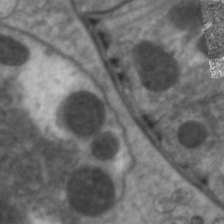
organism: C. elegans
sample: Pharynx